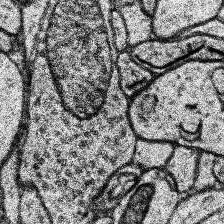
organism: Human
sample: Temporal Lobe